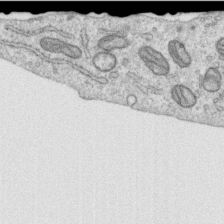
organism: Human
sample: Centriole in RPE cells